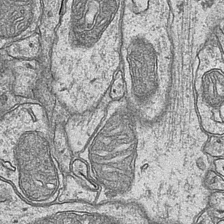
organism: Mouse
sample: CA1 Hippocampus